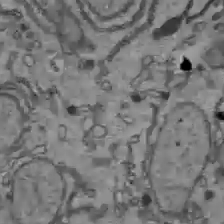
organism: C57BL Mouse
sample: Liver